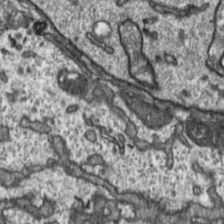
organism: Toxoplasma gondii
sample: Parasites in a vacuole inside a host cell